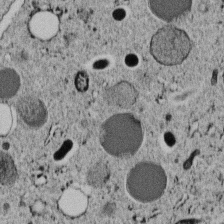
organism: C. elegans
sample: C. elegans embryo early stage